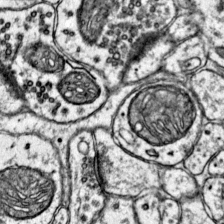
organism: Mouse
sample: Primary visual cortex